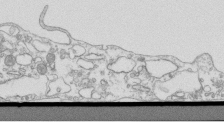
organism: Mouse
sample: Macrophages